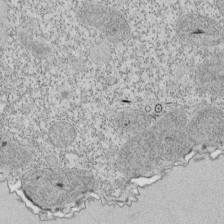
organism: Tetrahymena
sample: Cilia in tetrahymena